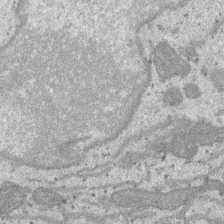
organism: Human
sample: Lung epithelial cells infected with SARS-CoV-2